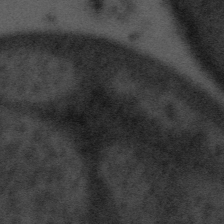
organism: Tuwongella immobilis